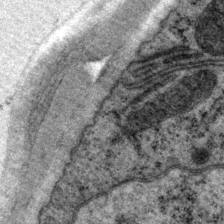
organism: P. pacificus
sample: Pharynx